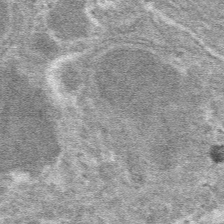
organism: Mouse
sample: Mouse hepatocytes